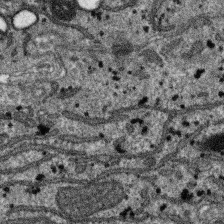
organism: Human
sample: Lung epithelial cells infected with SARS-CoV-2